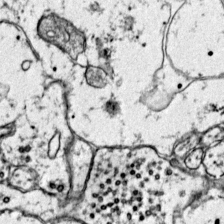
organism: Mouse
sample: Primary visual cortex